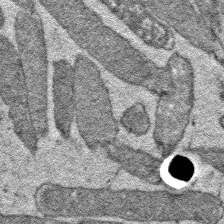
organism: E. coli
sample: E. Coli Bacteria